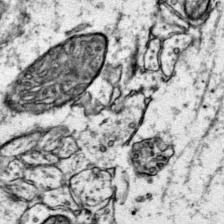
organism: Mouse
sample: Primary visual cortex